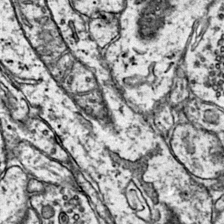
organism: Mouse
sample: Primary visual cortex